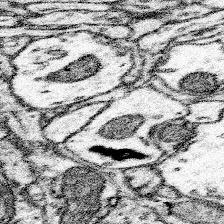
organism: Mouse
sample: Somatosensory cortex neuropil